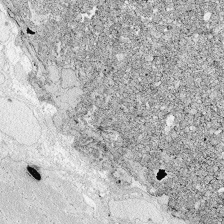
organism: Zebrafish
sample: Whole-Brain